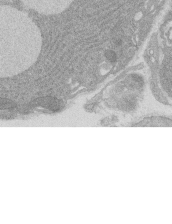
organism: Rat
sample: Salivary granule